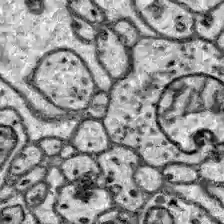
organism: Zebrafish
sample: Brain